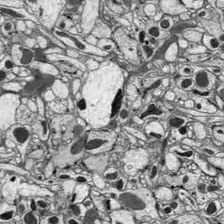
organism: Drosophila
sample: Optic lobe